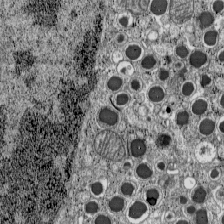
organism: C57BL Mouse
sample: Pancreatic islet